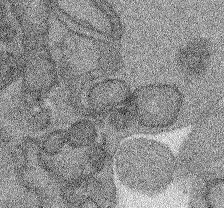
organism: Human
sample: HeLa cells